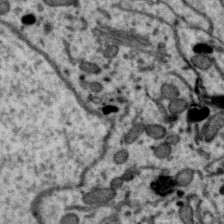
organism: Zebra finch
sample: Brain